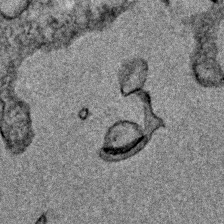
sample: Trachea